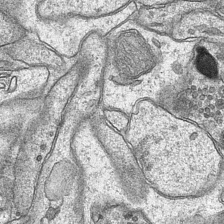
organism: Mouse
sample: CA1 Hippocampus